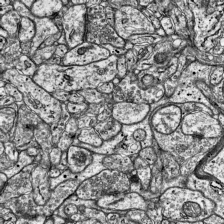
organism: Mouse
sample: Visual Cortex